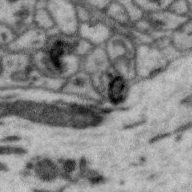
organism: Zebra finch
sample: Brain